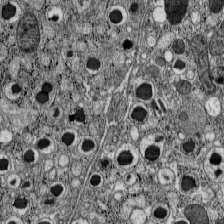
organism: C57BL Mouse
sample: Pancreatic islet